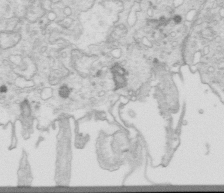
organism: Mouse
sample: Multiciliated cells